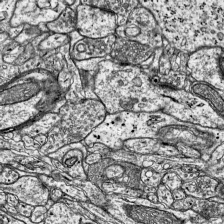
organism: Mouse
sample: Visual Cortex